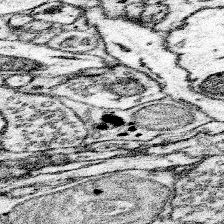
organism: Mouse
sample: Somatosensory cortex neuropil